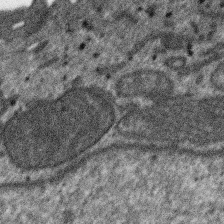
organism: Human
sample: Lung epithelial cells infected with SARS-CoV-2